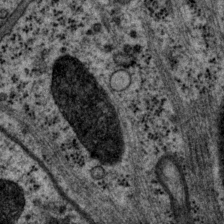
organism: P. pacificus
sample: Pharynx